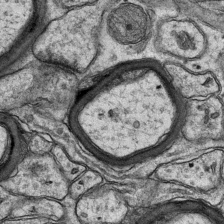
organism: Mouse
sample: CA1 Hippocampus